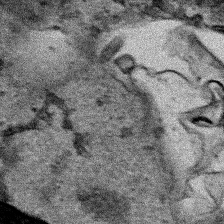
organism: Human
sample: Mitochondria in HCT116 cells